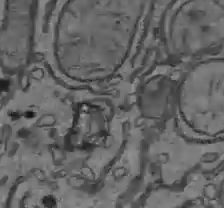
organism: C57BL Mouse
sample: Liver